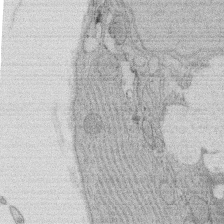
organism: Rat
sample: Salivary granule